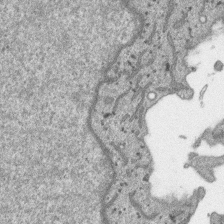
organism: Human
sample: Lung epithelial cells infected with SARS-CoV-2